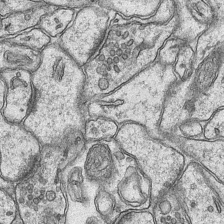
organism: Mouse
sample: CA1 Hippocampus